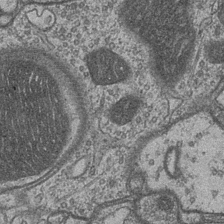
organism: Drosophila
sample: Optic medulla